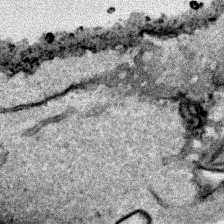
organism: Human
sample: Mitochondria in HCT116 cells